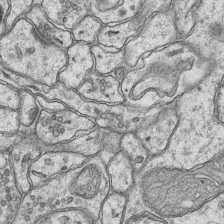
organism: Mouse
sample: CA1 Hippocampus